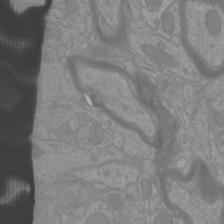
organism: Mouse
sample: Cortical neurons